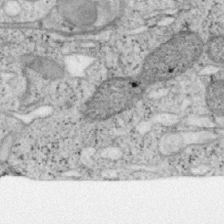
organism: Mouse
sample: OT-I killer T cells with ID8 ovarian cancer cells